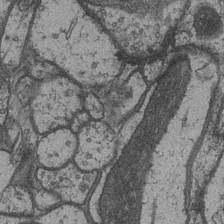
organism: Drosophila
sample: Optic medulla